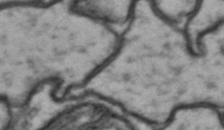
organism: Drosophila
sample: Brain